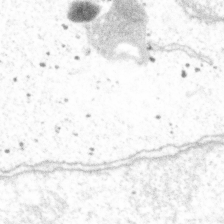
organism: Human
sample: HeLa cells